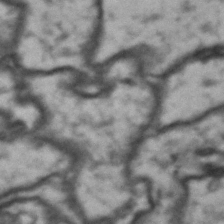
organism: Drosophila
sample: Brain